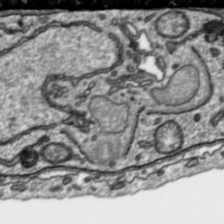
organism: Toxoplasma gondii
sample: Parasites in a vacuole inside a host cell